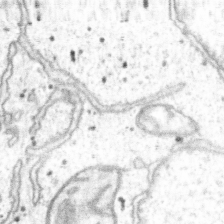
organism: Human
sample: HeLa cells